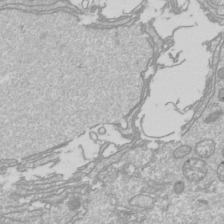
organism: Drosophila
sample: Cell division; meiosis; drosophila spermatocytes